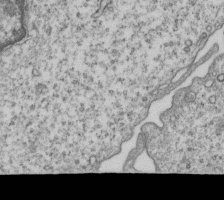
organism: Human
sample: MDA-MB-231 cells